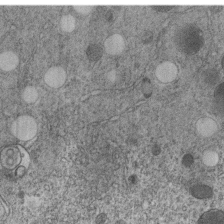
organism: C. elegans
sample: C. elegans embryo early stage